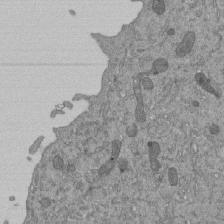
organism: Mouse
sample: ED-1 cell nuclei; centrioles